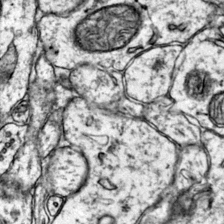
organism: Mouse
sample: Primary visual cortex